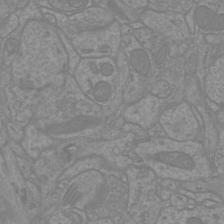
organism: Mouse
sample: Cortical neurons